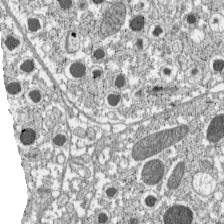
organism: C57BL Mouse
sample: Pancreatic islet